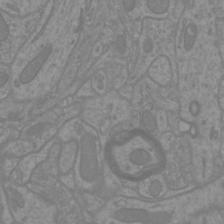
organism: Mouse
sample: Cortical neurons